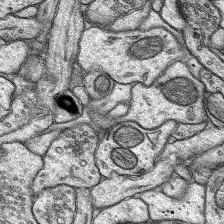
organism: Rat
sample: Hippocampus